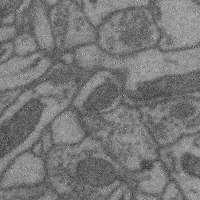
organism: Mouse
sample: Cerebral cortex